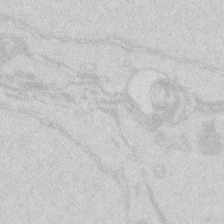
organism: Zebrafish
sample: Macrophage